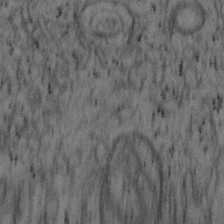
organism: Human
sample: HeLa cells